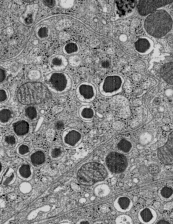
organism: C57BL Mouse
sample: Pancreatic islet